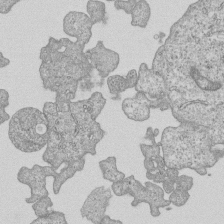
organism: Human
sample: MDA-MB-231 cells